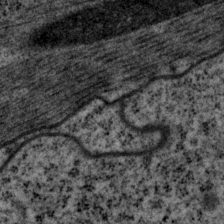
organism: P. pacificus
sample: Pharynx